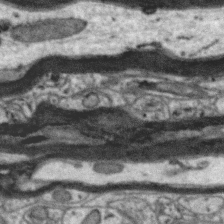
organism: Zebra finch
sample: Brain